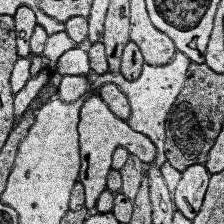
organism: Human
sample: Temporal Lobe